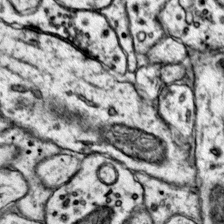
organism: Mouse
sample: Primary visual cortex